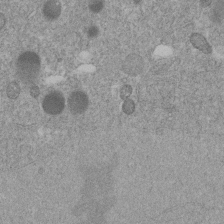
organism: C. elegans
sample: C. elegans embryo early stage